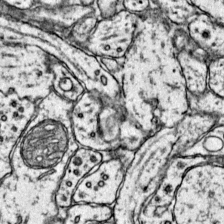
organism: Mouse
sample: Primary visual cortex